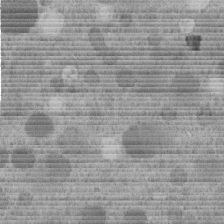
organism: C. elegans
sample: C. elegans embryo early stage